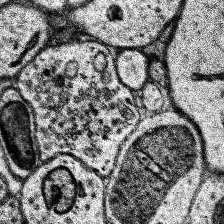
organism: Human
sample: Temporal Lobe